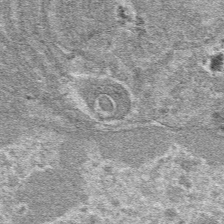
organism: Mouse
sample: Mouse hepatocytes